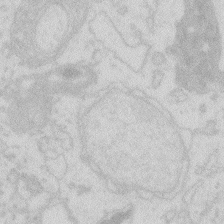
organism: Zebrafish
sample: Macrophage